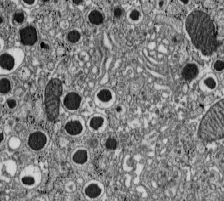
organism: C57BL Mouse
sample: Pancreatic islet